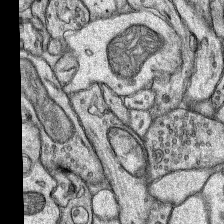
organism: Rat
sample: Hippocampus